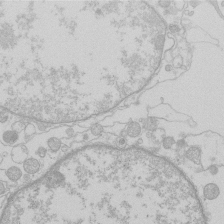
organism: Human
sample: Macrophage cells